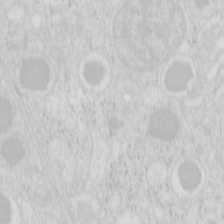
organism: Mouse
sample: Pancreas